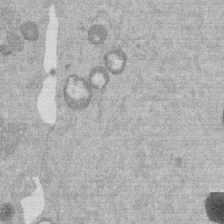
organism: Mouse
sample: Dividing mouse embryo 1 cell stage